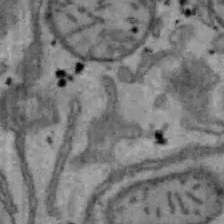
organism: Mouse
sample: Liver